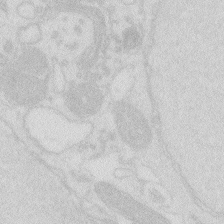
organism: Zebrafish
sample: Macrophage